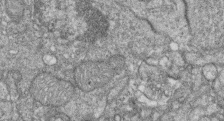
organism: Zebrafish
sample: Cilia; retinal pigment epithelium